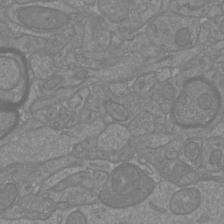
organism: Mouse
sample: Cortical neurons